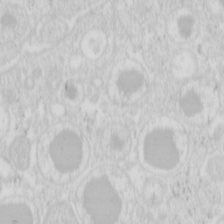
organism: Mouse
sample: Pancreas